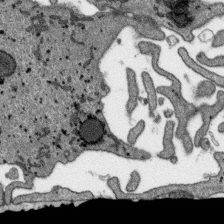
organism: Human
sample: Lung epithelial cells, uninfected (mock) control